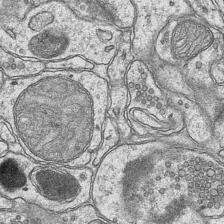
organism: Mouse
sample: CA1 Hippocampus